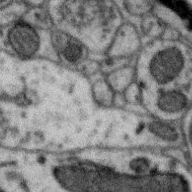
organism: Zebra finch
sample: Brain